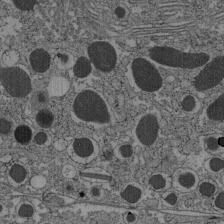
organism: C57BL Mouse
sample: Pancreatic islet